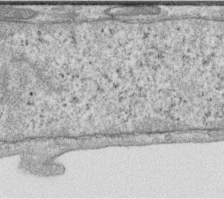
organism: Human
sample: Centriole in RPE cells